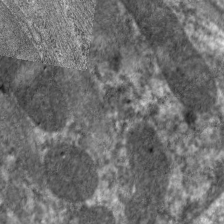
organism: C. elegans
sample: Pharynx